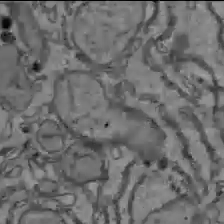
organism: C57BL Mouse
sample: Liver